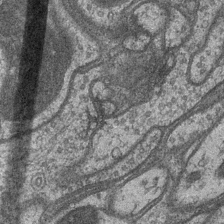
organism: Drosophila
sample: Optic medulla